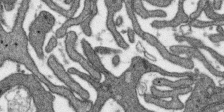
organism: Human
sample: Lung epithelial cells, uninfected (mock) control